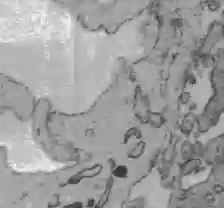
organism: C57BL Mouse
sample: Liver